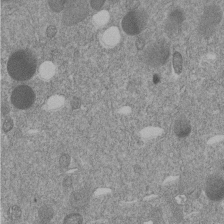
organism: C. elegans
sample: C. elegans embryo early stage